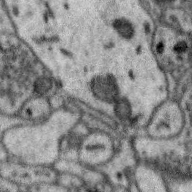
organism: Zebra finch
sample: Brain